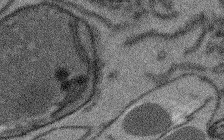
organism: Arabidopsis thaliana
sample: Root tip